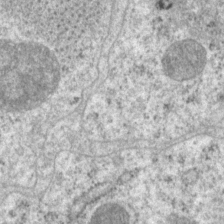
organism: P. pacificus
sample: Pharynx